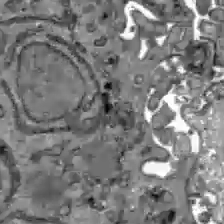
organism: C57BL Mouse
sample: Liver